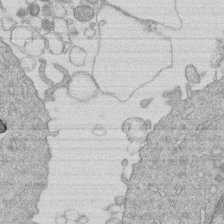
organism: Human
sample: Macrophage cells